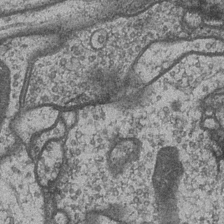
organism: Drosophila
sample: Optic medulla